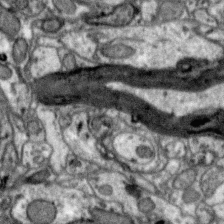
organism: Zebra finch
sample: Brain